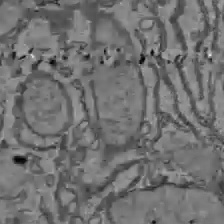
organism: C57BL Mouse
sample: Liver